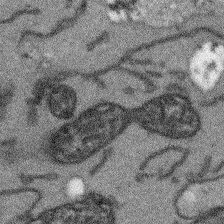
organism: Arabidopsis thaliana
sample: Root tip